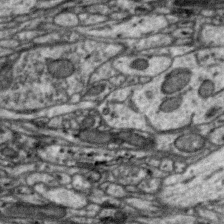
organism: Zebra finch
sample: Brain